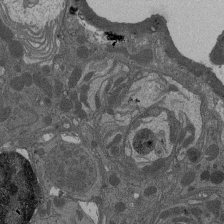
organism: Drosophila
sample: Antenna